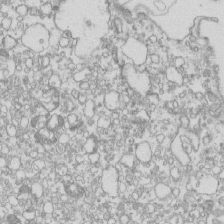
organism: Mouse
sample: Macrophages